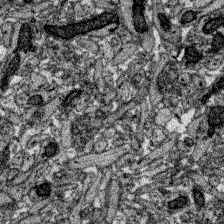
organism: Zebrafish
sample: Larval olfactory bulb